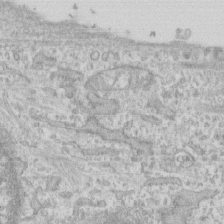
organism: Human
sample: CRL-1474